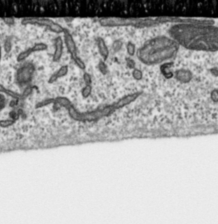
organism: Toxoplasma gondii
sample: Parasites in a vacuole inside a host cell